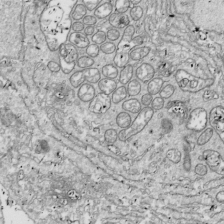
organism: Drosophila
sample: Cell division; meiosis; drosophila spermatocytes